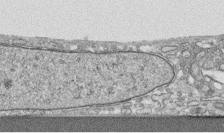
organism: Human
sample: CRL-1474